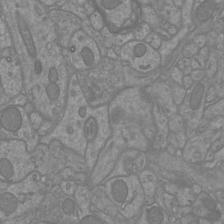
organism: Mouse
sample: Cortical neurons